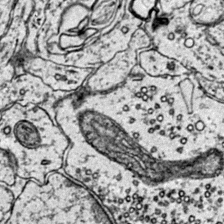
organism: Mouse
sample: Primary visual cortex